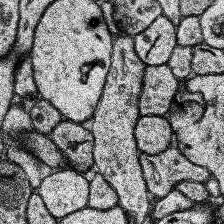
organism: Human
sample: Temporal Lobe